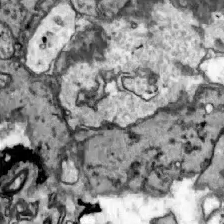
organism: Zebrafish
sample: Actinotrichia fibers